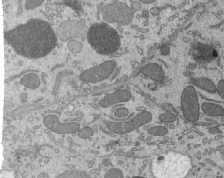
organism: Mouse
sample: Mouse epididymis efferent ductule cilia